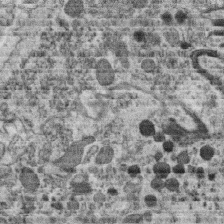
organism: C. elegans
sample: C. elegans oocyte; sperm cells